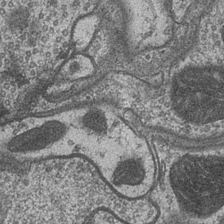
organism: Drosophila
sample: Optic medulla